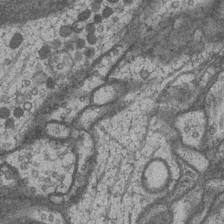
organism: Drosophila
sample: Optic medulla